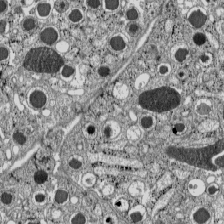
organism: C57BL Mouse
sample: Pancreatic islet